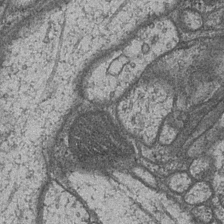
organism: Drosophila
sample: Optic medulla